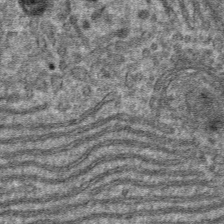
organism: Mouse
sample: Mouse hepatocytes